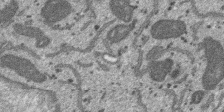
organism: Human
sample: Lung epithelial cells infected with SARS-CoV-2